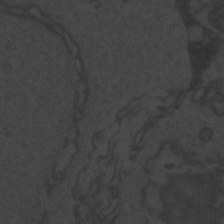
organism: Zebrafish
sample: Macrophage infected with Toxoplasma gondii